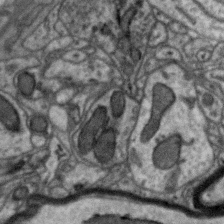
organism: Zebra finch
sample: Brain